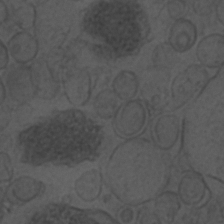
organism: C. elegans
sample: C. elegans embryo